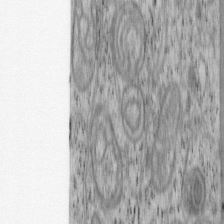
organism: Human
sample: HeLa cells